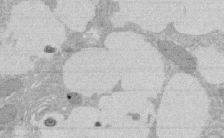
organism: Rat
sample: Salivary granule